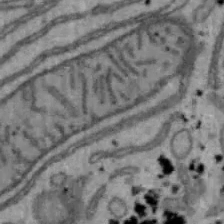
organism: Mouse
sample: Liver